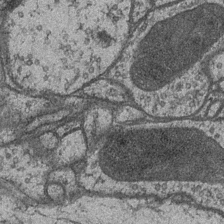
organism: Drosophila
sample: Optic medulla